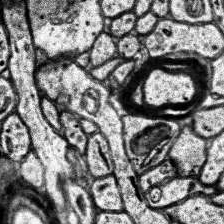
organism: Human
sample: Temporal Lobe